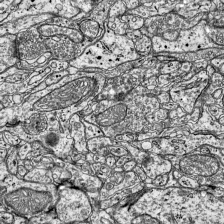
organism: Mouse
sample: Visual Cortex